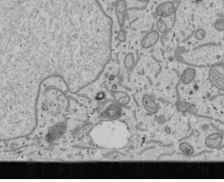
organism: Human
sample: Mitochondria in U2OS cells